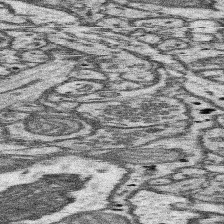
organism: Mouse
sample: Somatosensory cortex neuropil